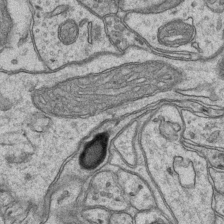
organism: Mouse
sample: CA1 Hippocampus